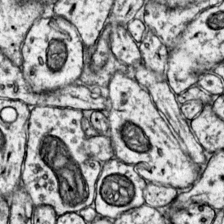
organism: Mouse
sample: Primary visual cortex